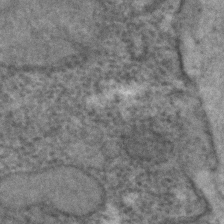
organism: C. elegans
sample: C. elegans embryo